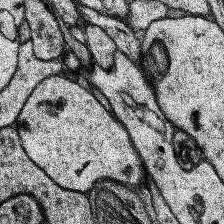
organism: Human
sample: Temporal Lobe